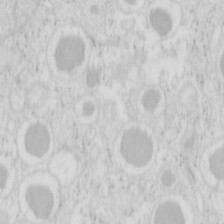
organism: Mouse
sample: Pancreas